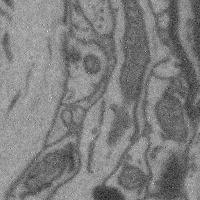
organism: Mouse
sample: Cerebral cortex